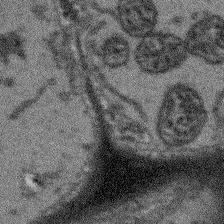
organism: Arabidopsis thaliana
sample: Root tip